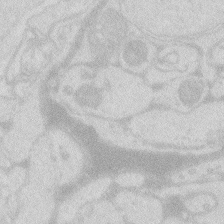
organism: Zebrafish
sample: Macrophage